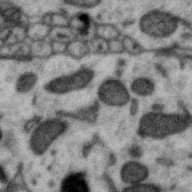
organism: Zebra finch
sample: Brain